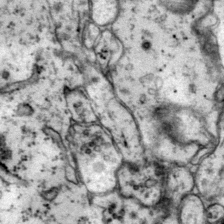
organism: Mouse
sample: Primary visual cortex